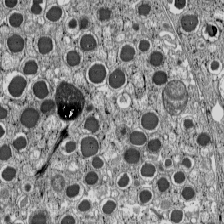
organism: C57BL Mouse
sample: Pancreatic islet